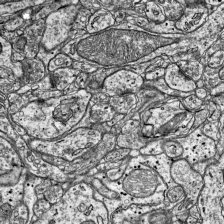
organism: Mouse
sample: Visual Cortex